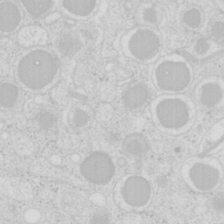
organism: Mouse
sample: Pancreas